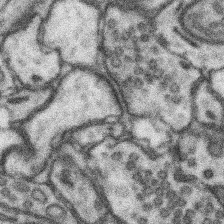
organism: Mouse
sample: Somatosensory cortex neuropil